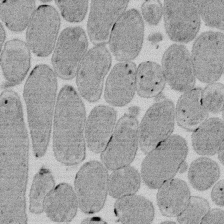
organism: E. coli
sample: Bacterial nucleoid